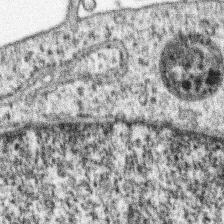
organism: Human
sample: HeLa cells